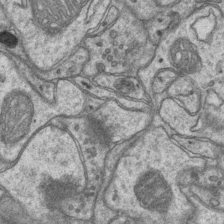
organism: Mouse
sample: CA1 Hippocampus